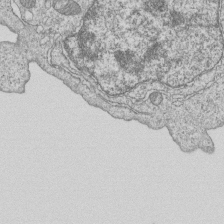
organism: Human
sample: MDA-MB-231 cells